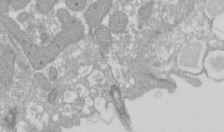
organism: Xenopus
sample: Cilia; centrioles in frog embryo cells